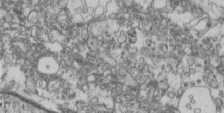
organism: Human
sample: Centriole in fibroblast cells